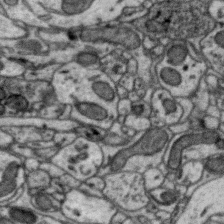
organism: Zebra finch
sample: Brain